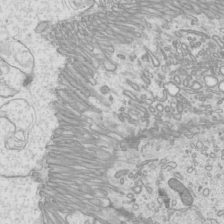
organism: Mouse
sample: Cilia; mouse epididymis